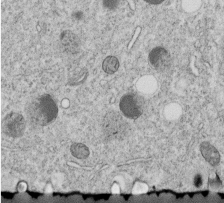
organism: C. elegans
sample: C. elegans embryo early stage